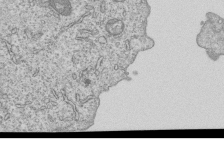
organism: Human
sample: MDA-MB-231 cells